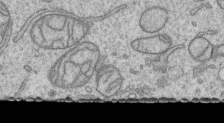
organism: Human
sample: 1205lu cells